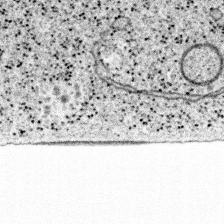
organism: Human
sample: HeLa cells